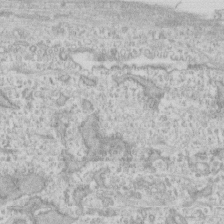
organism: Human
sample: CRL-1474